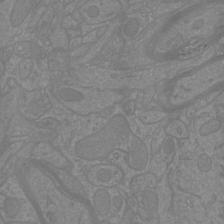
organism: Mouse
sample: Cortical neurons